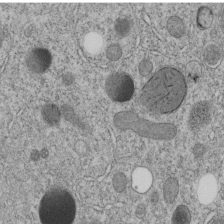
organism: C. elegans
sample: C. elegans embryo early stage